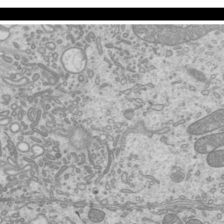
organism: Mouse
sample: Cilia; mouse epididymis